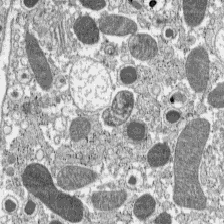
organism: C57BL Mouse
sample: Pancreatic islet